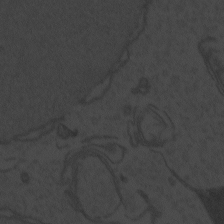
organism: Zebrafish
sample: Macrophage infected with Toxoplasma gondii